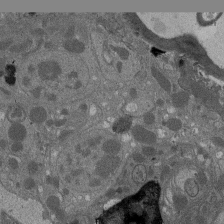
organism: Drosophila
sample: Antenna